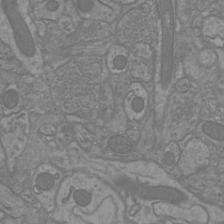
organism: Mouse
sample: Cortical neurons